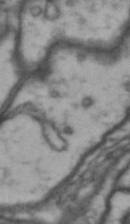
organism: Drosophila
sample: Brain